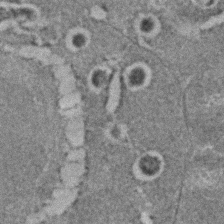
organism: C. elegans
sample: C. elegans embryo